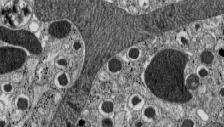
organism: C57BL Mouse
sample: Pancreatic islet